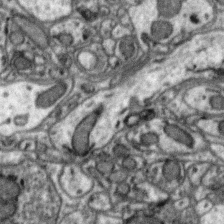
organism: Zebra finch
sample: Brain